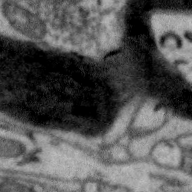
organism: Zebra finch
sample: Brain